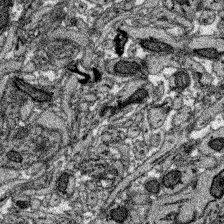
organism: Zebrafish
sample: Larval olfactory bulb